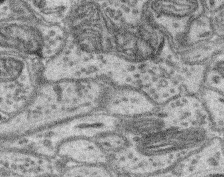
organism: Mouse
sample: Retina